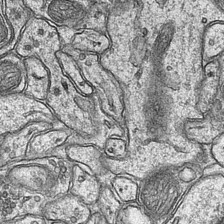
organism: Mouse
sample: CA1 Hippocampus